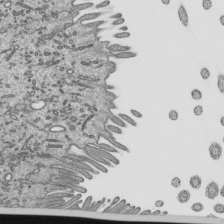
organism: Mouse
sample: Mouse epididymis efferent ductule cilia